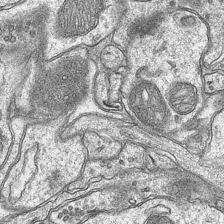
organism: Mouse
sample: CA1 Hippocampus